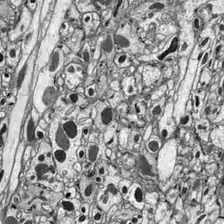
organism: Drosophila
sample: Optic lobe